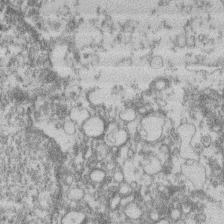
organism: Mouse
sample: T cell stromal cell synapse